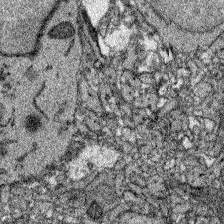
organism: Zebrafish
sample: Larval olfactory bulb